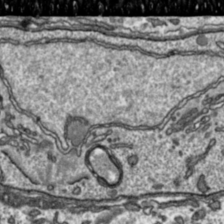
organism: Toxoplasma gondii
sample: Parasites in a vacuole inside a host cell